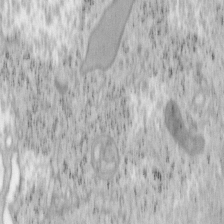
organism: Human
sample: HeLa cells